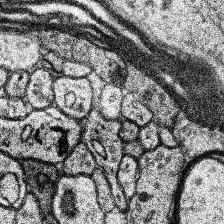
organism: Human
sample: Temporal Lobe